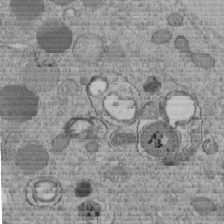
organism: C. elegans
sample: C. elegans embryo early stage